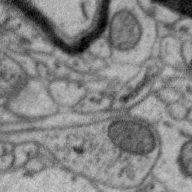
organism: Zebra finch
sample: Brain